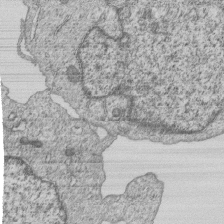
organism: Human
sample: MDA-MB-231 cells